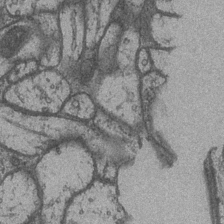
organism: Drosophila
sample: Optic medulla